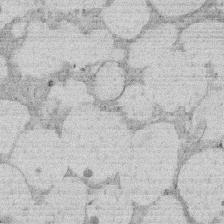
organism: Rat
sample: Salivary granule